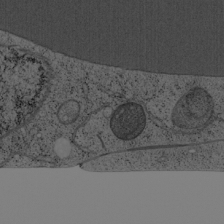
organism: African green monkey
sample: COS-7 cells